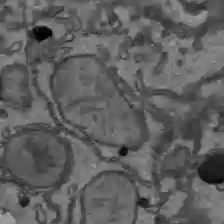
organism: C57BL Mouse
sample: Liver